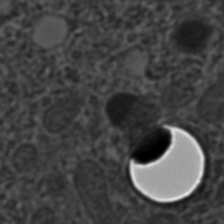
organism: C. elegans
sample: C. elegans embryo